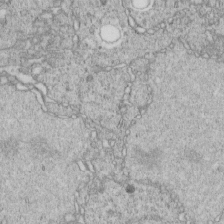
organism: C. elegans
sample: C. elegans embryo early stage